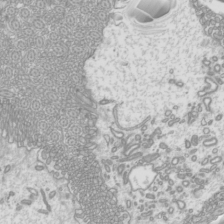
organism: Mouse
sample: Cilia; mouse epididymis